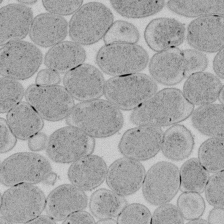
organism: E. coli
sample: Bacterial nucleoid